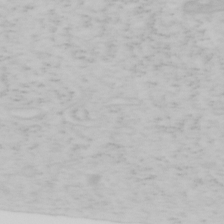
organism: Mouse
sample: OT-I killer T cells with ID8 ovarian cancer cells